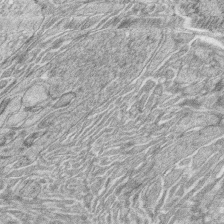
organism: Zebrafish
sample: synaptic ribbons in rod cells and cone cells